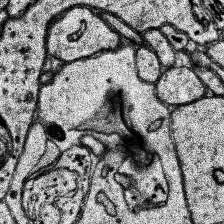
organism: Human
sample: Temporal Lobe